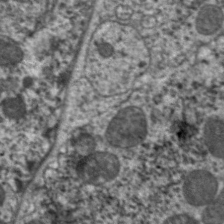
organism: C. elegans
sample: Pharynx